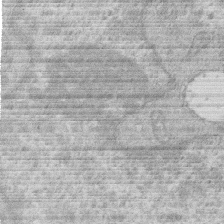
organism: Human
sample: Macrophage cells